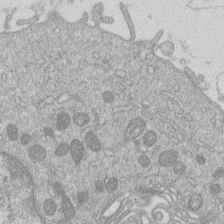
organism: Human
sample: Macrophage cells